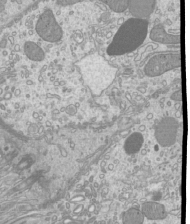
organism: Mouse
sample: Cilia; mouse epididymis